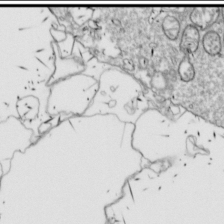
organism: Drosophila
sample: Cell division; meiosis; drosophila spermatocytes